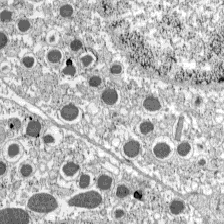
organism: C57BL Mouse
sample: Pancreatic islet